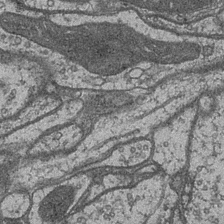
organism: Drosophila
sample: Optic medulla